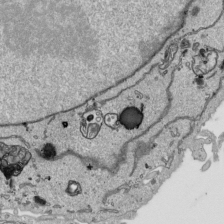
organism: Human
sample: Mitochondria in HCT116 cells